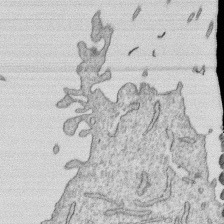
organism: Human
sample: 1205lu cells